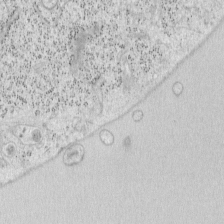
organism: Mouse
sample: OT-I killer T cells with ID8 ovarian cancer cells